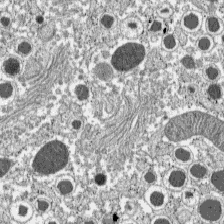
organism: C57BL Mouse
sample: Pancreatic islet